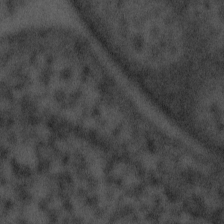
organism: Tuwongella immobilis